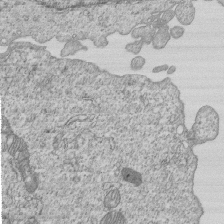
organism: Human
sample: MDA-MB-231 cells